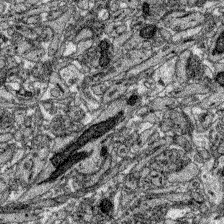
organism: Zebrafish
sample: Larval olfactory bulb